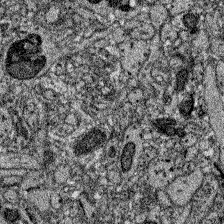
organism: Zebrafish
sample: Larval olfactory bulb